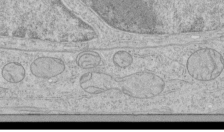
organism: Human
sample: Mitochondria in HCT116 cells